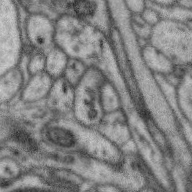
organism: Zebra finch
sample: Brain